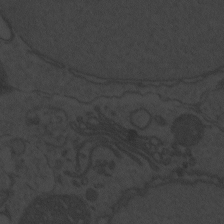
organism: Zebrafish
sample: Macrophage infected with Toxoplasma gondii